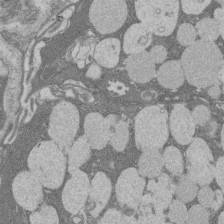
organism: Rat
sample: Salivary granule